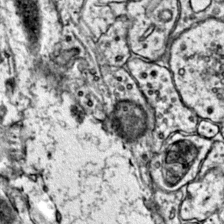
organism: Mouse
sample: Primary visual cortex